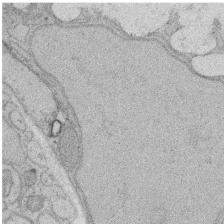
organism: Rat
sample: Salivary granule